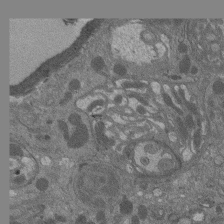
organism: Drosophila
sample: Antenna